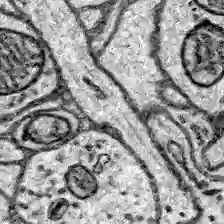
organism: Zebrafish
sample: Brain